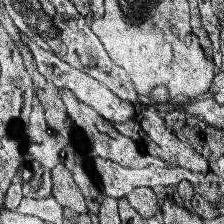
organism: Human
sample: Temporal Lobe